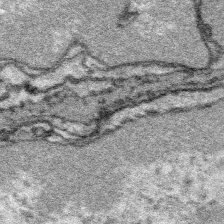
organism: Platynereis dumerilii